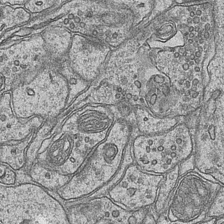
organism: Mouse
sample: CA1 Hippocampus